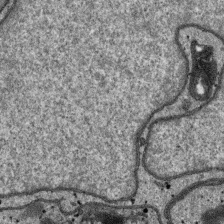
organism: Human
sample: Lung epithelial cells, uninfected (mock) control